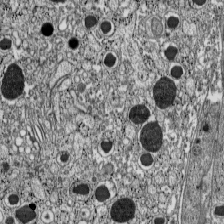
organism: C57BL Mouse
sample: Pancreatic islet